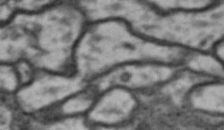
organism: Drosophila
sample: Brain